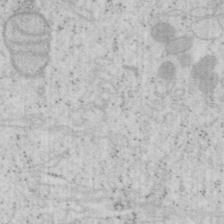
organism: Human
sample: HeLa cells